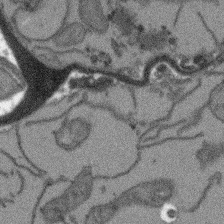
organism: Arabidopsis thaliana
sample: Root tip